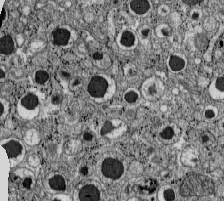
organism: C57BL Mouse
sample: Pancreatic islet